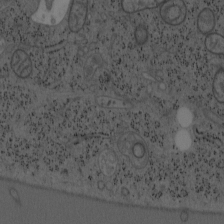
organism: Mouse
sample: OT-I killer T cells with ID8 ovarian cancer cells